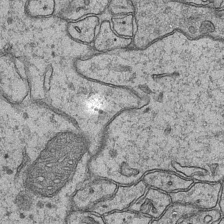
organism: Mouse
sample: CA1 Hippocampus